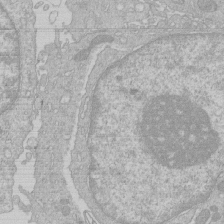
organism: Human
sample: Macrophage cells